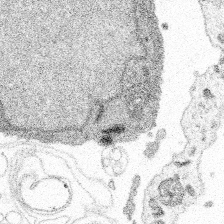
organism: Spongilla lacustris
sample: Multiple